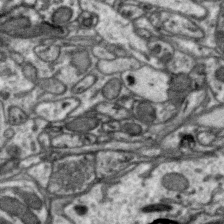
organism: Zebra finch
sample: Brain